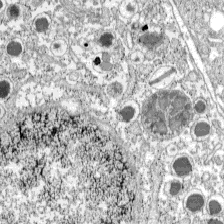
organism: C57BL Mouse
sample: Pancreatic islet